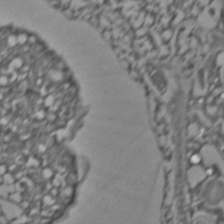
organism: C. elegans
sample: C. elegans embryo